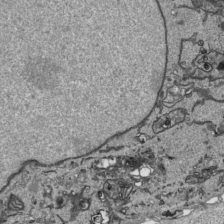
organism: Human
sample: Mitochondria in HCT116 cells